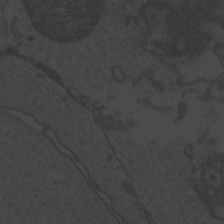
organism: Zebrafish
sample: Macrophage infected with Toxoplasma gondii